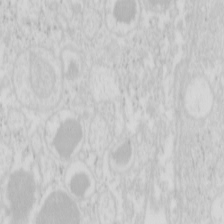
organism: Mouse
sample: Pancreas